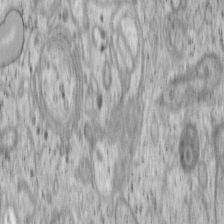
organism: Human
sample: HeLa cells